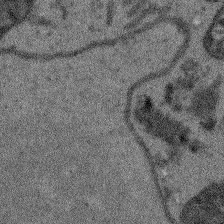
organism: Arabidopsis thaliana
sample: Root tip